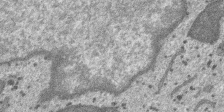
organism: Human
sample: Lung epithelial cells infected with SARS-CoV-2